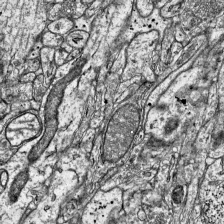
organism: Mouse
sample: Visual Cortex